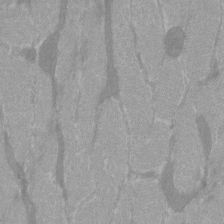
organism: C57BL Mouse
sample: Tibialis anterior muscle cell